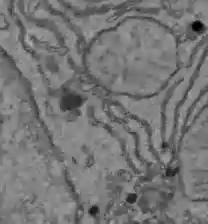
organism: C57BL Mouse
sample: Liver